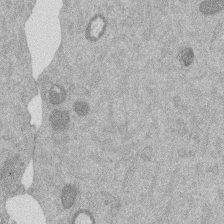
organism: Mouse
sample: Dividing mouse embryo 1 cell stage